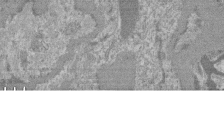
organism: Mouse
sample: Glomerulus